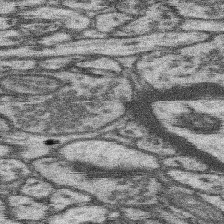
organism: Mouse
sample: Somatosensory cortex neuropil